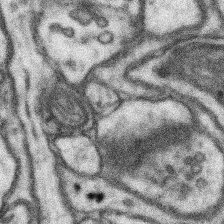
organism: Mouse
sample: Somatosensory cortex neuropil